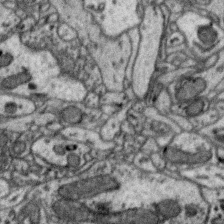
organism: Zebra finch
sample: Brain